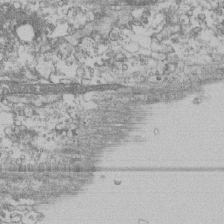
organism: Human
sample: Fibroblast cells